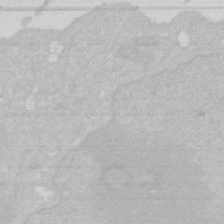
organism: Human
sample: HIV infected U937 cells